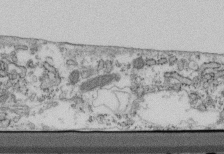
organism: Mouse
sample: Cilia; retinal pigment epithelium